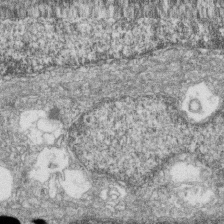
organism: Zebrafish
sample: Cilia; retinal pigment epithelium